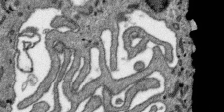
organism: Human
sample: Lung epithelial cells, uninfected (mock) control